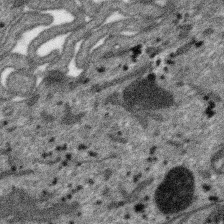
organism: Human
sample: Lung epithelial cells infected with SARS-CoV-2